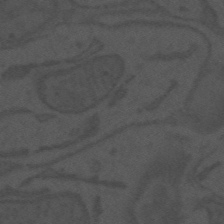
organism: Mouse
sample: Suprachiasmatic nucleus